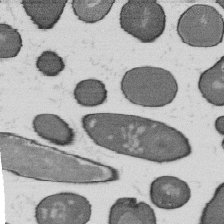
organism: B. subtilis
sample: Bacterial spore